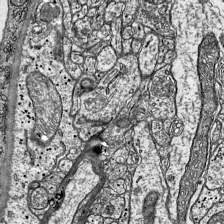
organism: Mouse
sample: Visual Cortex